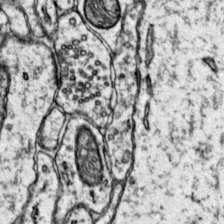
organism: Mouse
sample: Primary visual cortex